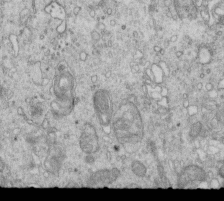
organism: Mouse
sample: Multiciliated cells